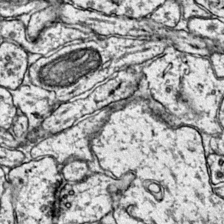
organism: Mouse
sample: Primary visual cortex